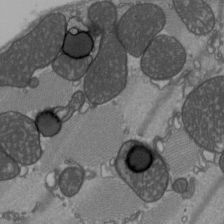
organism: C57BL Mouse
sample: Heart